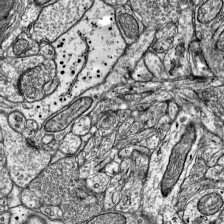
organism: Mouse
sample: Visual Cortex